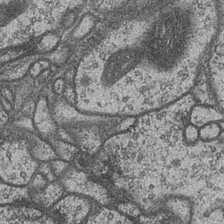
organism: Drosophila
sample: Optic medulla